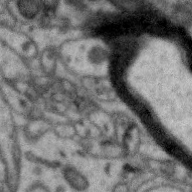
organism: Zebra finch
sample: Brain